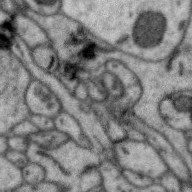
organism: Zebra finch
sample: Brain